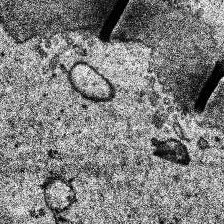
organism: Human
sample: Temporal Lobe